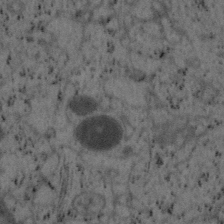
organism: Human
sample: HeLa cells